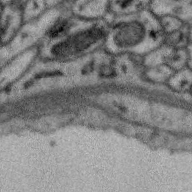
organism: Zebra finch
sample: Brain